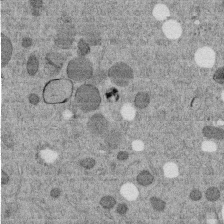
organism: C. elegans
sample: C. elegans embryo early stage